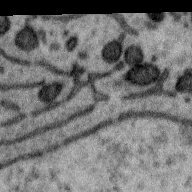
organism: Zebra finch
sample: Brain